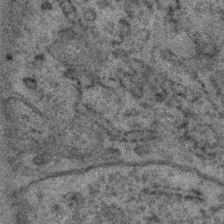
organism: C. elegans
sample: C. elegans embryo